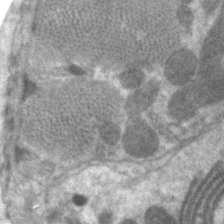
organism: C. elegans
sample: Pharynx